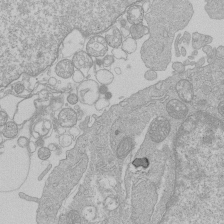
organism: Human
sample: Macrophage cells